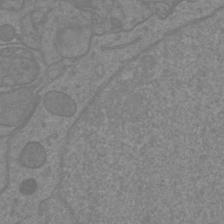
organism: Mouse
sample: Cortical neurons